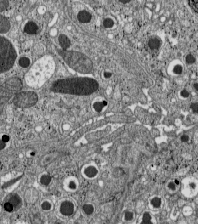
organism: C57BL Mouse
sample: Pancreatic islet